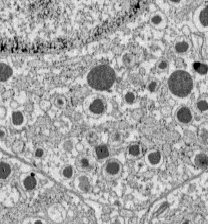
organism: C57BL Mouse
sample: Pancreatic islet